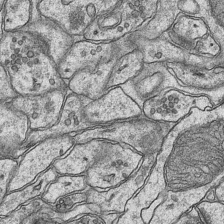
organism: Mouse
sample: CA1 Hippocampus